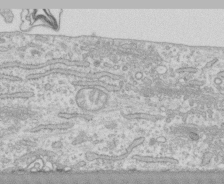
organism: Human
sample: CRL-1474